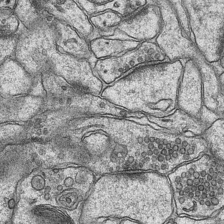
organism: Mouse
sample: CA1 Hippocampus